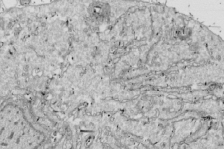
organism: Drosophila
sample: Cell division; meiosis; drosophila spermatocytes